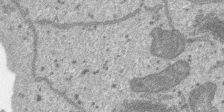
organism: Human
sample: Lung epithelial cells infected with SARS-CoV-2